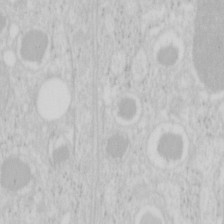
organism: Mouse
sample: Pancreas